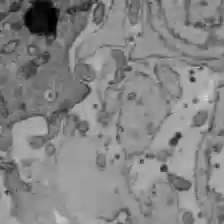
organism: C57BL Mouse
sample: Liver